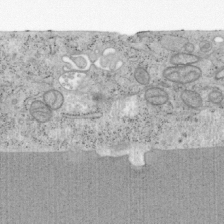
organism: Human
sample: HeLa cells